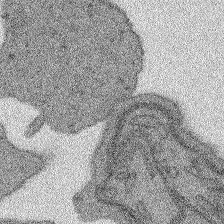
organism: Human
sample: HeLa cells